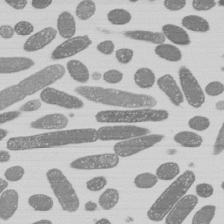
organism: E. coli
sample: Bacterial nucleoid